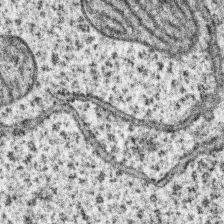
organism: Human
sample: HeLa cells